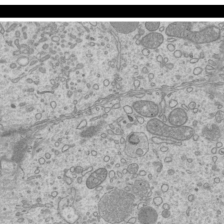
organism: Mouse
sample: Cilia; mouse epididymis